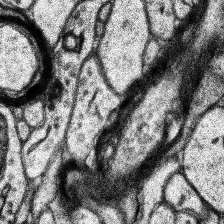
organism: Human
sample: Temporal Lobe